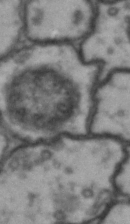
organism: Drosophila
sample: Brain